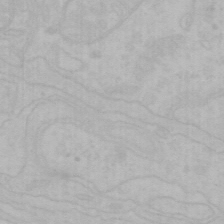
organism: Mouse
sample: Choroid plexus